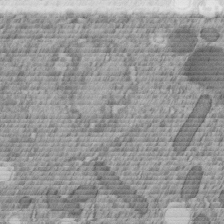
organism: C. elegans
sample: C. elegans embryo early stage